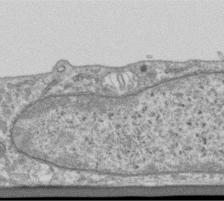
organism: Human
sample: Centriole in RPE cells